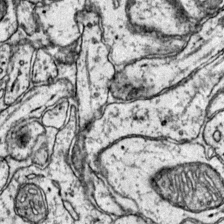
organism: Mouse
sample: Primary visual cortex